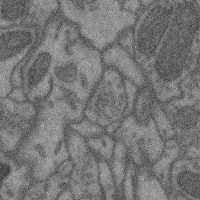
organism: Mouse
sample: Cerebral cortex